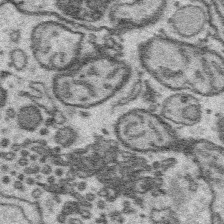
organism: Platynereis dumerilii